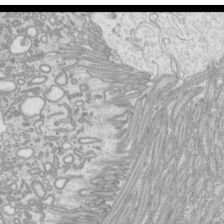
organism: Mouse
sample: Cilia; mouse epididymis